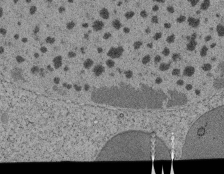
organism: Tetrahymena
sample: Cilia in tetrahymena